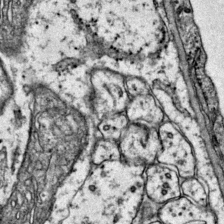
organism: Mouse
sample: Primary visual cortex